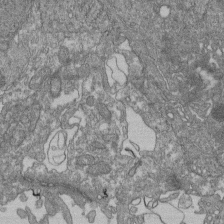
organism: Human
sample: Retinal organoid Rod and Cone cells